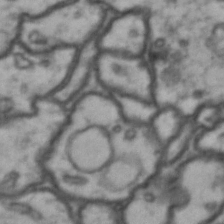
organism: Drosophila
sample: Brain